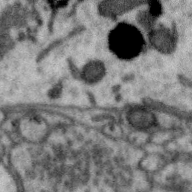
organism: Zebra finch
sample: Brain